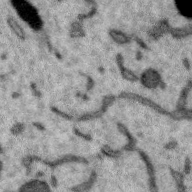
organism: Zebra finch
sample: Brain